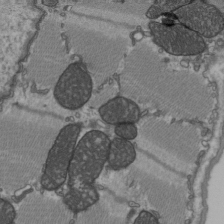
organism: C57BL Mouse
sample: Heart